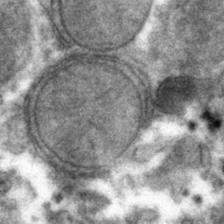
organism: Mouse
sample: Mouse hepatocytes